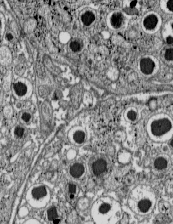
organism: C57BL Mouse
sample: Pancreatic islet